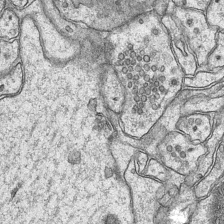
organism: Mouse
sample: CA1 Hippocampus